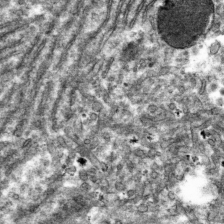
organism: Mouse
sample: Mouse hepatocytes